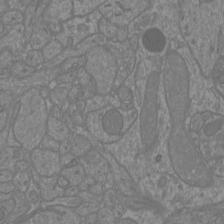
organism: Mouse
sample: Cortical neurons